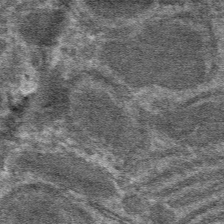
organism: Mouse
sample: Mouse hepatocytes